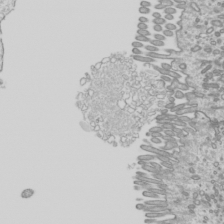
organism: Mouse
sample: Cilia; mouse epididymis